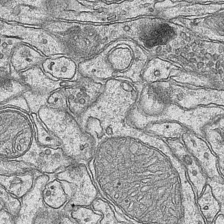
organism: Mouse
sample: CA1 Hippocampus